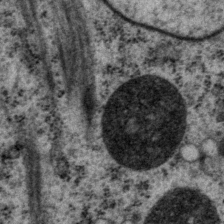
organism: P. pacificus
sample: Pharynx